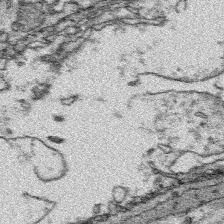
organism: Platynereis dumerilii